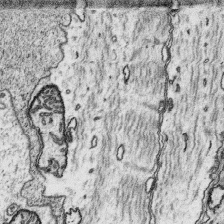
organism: Platynereis dumerilii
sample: Parapodia